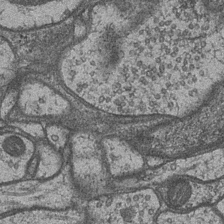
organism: Drosophila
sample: Optic medulla